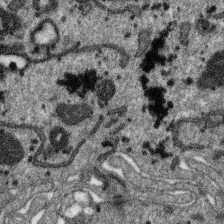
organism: Human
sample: Lung epithelial cells infected with SARS-CoV-2